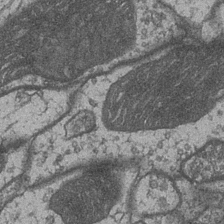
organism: Drosophila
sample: Optic medulla